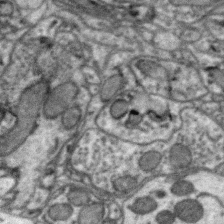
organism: Zebra finch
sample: Brain